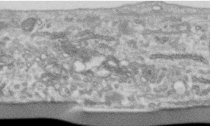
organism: Human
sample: Centriole in RPE cells